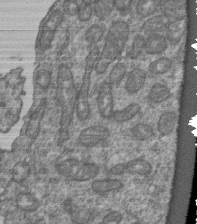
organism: Human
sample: Retinal organoid Rod and Cone cells